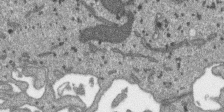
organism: Human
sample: Lung epithelial cells infected with SARS-CoV-2